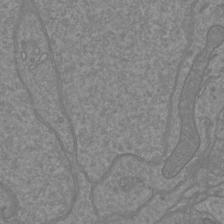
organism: Mouse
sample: Cortical neurons